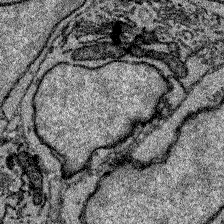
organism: Zebrafish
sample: Larval olfactory bulb